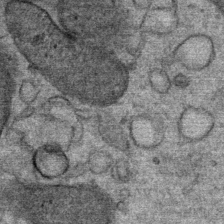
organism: Mouse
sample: Mouse Salivary gland